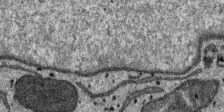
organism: Human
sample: Lung epithelial cells, uninfected (mock) control